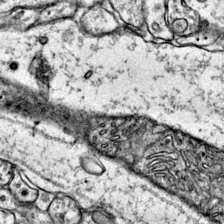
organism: Mouse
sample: Primary visual cortex